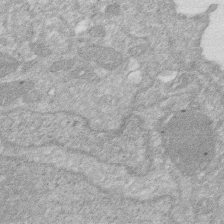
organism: Human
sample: HIV infected U937 cells